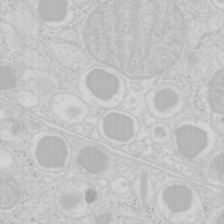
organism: Mouse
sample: Pancreas